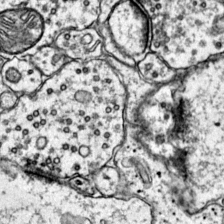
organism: Mouse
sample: Primary visual cortex